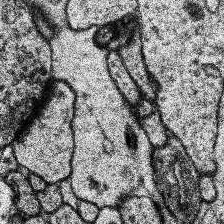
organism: Human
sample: Temporal Lobe